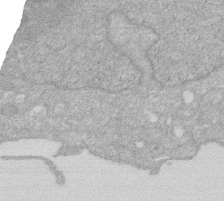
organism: Human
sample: HIV infected U937 cells